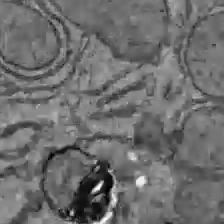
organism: C57BL Mouse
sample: Liver